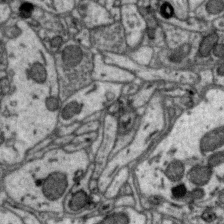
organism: Zebra finch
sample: Brain